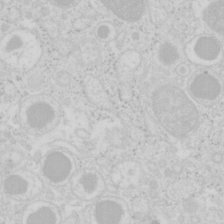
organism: Mouse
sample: Pancreas